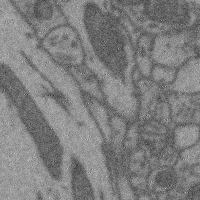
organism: Mouse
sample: Cerebral cortex